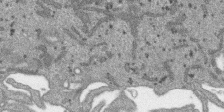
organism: Human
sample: Lung epithelial cells infected with SARS-CoV-2